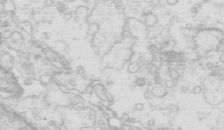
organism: Mouse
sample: Multiciliated cells